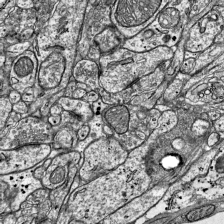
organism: Mouse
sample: Visual Cortex